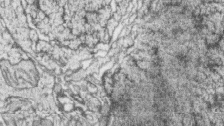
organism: Zebrafish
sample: synaptic ribbons in rod cells and cone cells